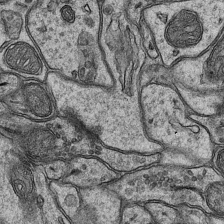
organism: Mouse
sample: CA1 Hippocampus